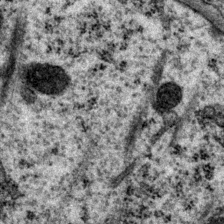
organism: P. pacificus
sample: Pharynx